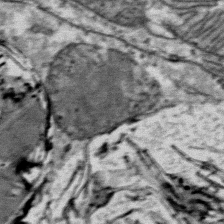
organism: Mouse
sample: Mouse Salivary gland